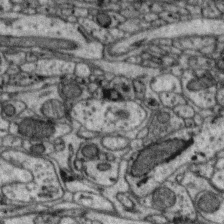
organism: Zebra finch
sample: Brain